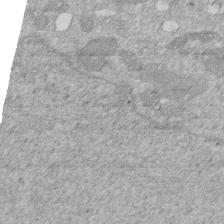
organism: Human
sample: HIV infected U937 cells